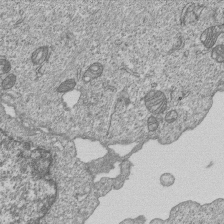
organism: Human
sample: MDA-MB-231 cells